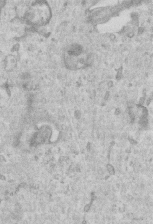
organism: Mouse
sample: Centriole in ependymal cells